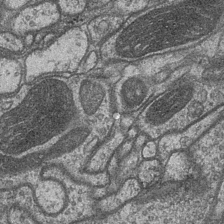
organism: Drosophila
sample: Optic medulla